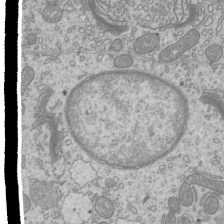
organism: Mouse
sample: Cilia; mouse epididymis